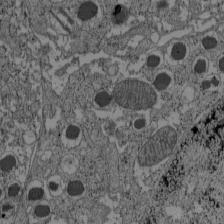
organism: C57BL Mouse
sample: Pancreatic islet